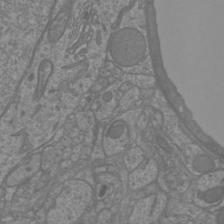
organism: Mouse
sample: Cortical neurons